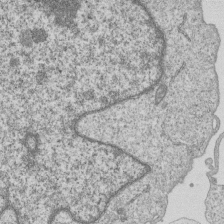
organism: Human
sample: MDA-MB-231 cells